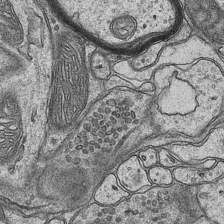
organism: Mouse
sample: CA1 Hippocampus